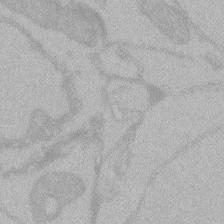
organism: Zebrafish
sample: Macrophage infected with Toxoplasma gondii